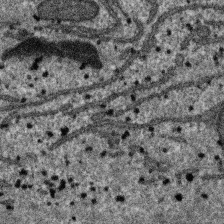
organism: Human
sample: Lung epithelial cells infected with SARS-CoV-2